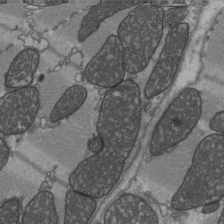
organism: C57BL Mouse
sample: Heart